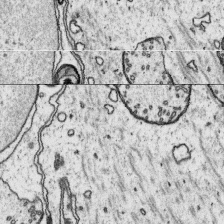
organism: Platynereis dumerilii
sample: Parapodia